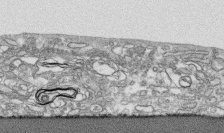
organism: Human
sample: CRL-1474